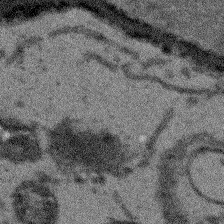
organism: Arabidopsis thaliana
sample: Root tip